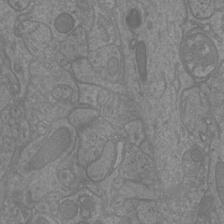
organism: Mouse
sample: Cortical neurons